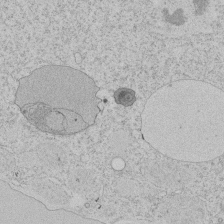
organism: Tetrahymena